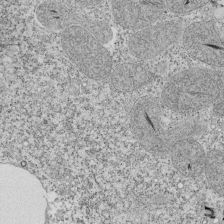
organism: Tetrahymena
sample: Cilia in tetrahymena